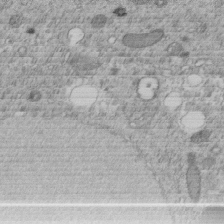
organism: C. elegans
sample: C. elegans embryo early stage